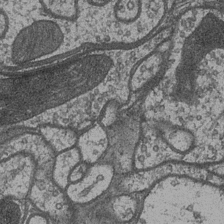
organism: Drosophila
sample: Optic medulla